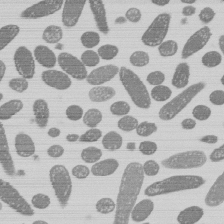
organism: E. coli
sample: Bacterial nucleoid